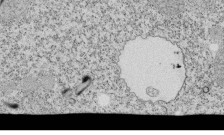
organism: Tetrahymena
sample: Cilia in tetrahymena